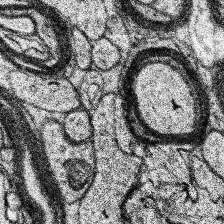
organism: Human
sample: Temporal Lobe